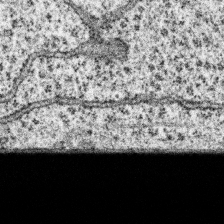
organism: Human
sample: HeLa cells